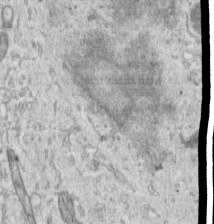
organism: Human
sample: Centriole in RPE cells